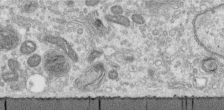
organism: Human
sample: Centriole in RPE cells